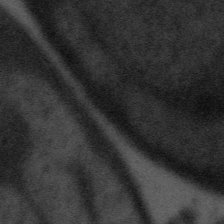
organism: Tuwongella immobilis